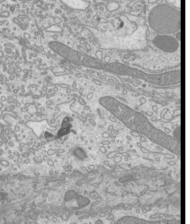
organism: Mouse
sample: Cilia; mouse epididymis